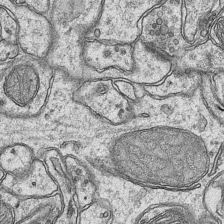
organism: Mouse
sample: CA1 Hippocampus